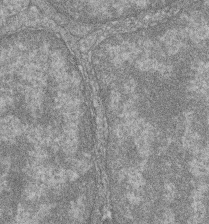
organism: Zebrafish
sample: Cilia; retinal pigment epithelium